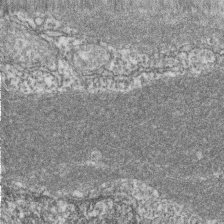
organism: Zebrafish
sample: Cilia; retinal pigment epithelium